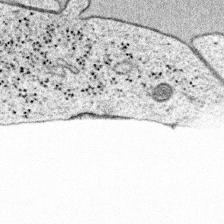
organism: Human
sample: HeLa cells